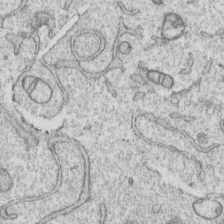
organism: Human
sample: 1205lu cells